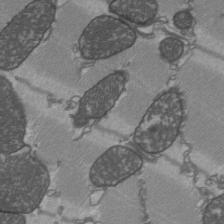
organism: C57BL Mouse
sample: Heart